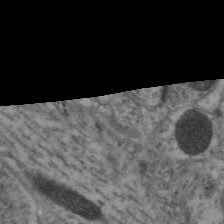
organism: Mouse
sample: Neocortex